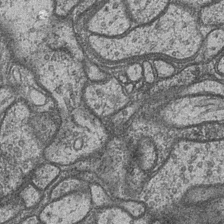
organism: Drosophila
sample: Optic medulla